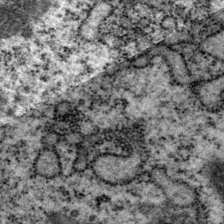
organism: P. pacificus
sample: Pharynx